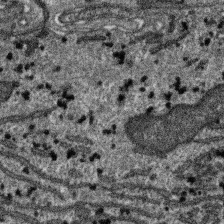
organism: Human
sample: Lung epithelial cells infected with SARS-CoV-2